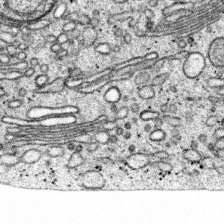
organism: Human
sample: HeLa cells